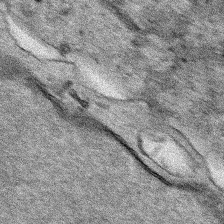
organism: Human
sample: Mitochondria in HCT116 cells